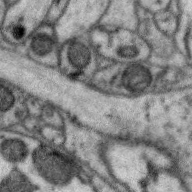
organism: Zebra finch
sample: Brain